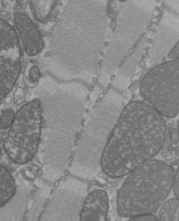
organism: C57BL Mouse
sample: Heart